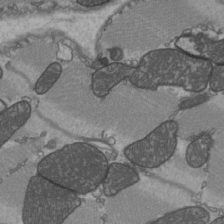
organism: C57BL Mouse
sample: Heart